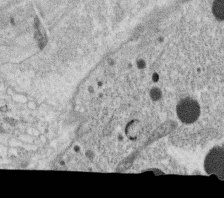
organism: C. elegans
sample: C. elegans oocyte; sperm cells